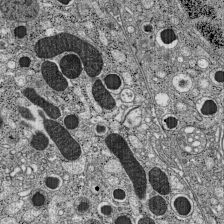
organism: C57BL Mouse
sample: Pancreatic islet